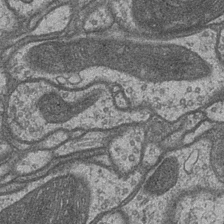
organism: Drosophila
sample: Optic medulla